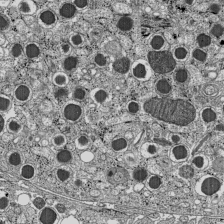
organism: C57BL Mouse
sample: Pancreatic islet